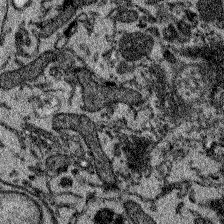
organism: Zebrafish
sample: Larval olfactory bulb